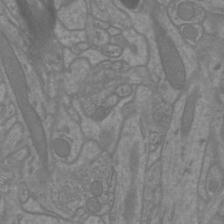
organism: Mouse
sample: Cortical neurons